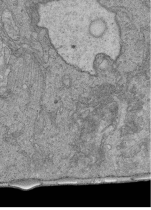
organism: Human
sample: Retinal organoid Rod and Cone cells